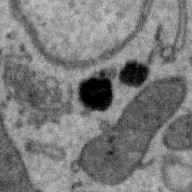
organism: Zebra finch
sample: Brain